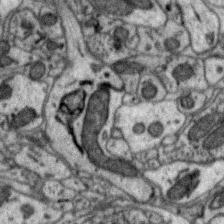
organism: Zebra finch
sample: Brain